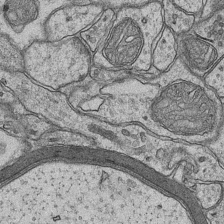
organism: Mouse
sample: CA1 Hippocampus